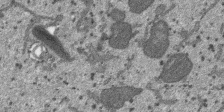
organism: Human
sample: Lung epithelial cells infected with SARS-CoV-2